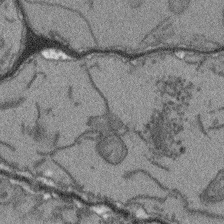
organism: Arabidopsis thaliana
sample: Root tip